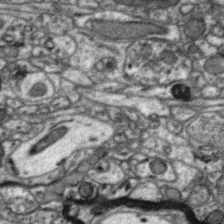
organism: Zebra finch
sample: Brain